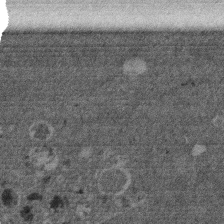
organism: Mouse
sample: Dividing mouse embryo 1 cell stage